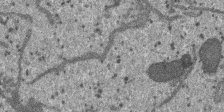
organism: Human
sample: Lung epithelial cells infected with SARS-CoV-2